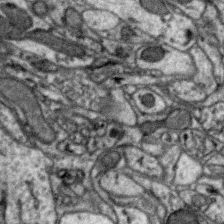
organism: Zebra finch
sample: Brain